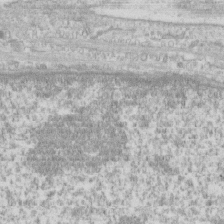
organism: Human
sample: CRL-1474